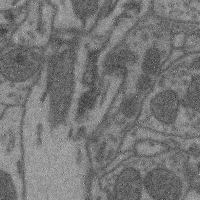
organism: Mouse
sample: Cerebral cortex